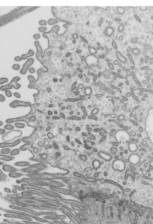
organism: Mouse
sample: Mouse epididymis efferent ductule cilia